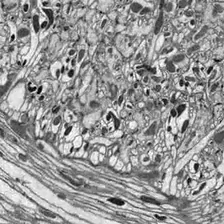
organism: Drosophila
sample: Optic lobe